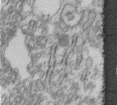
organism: Human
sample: Centriole in fibroblast cells